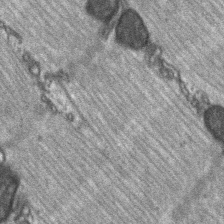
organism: C57BL Mouse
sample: Soleus